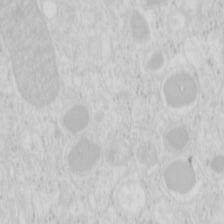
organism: Mouse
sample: Pancreas